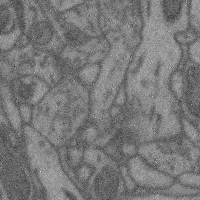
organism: Mouse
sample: Cerebral cortex